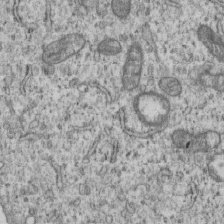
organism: Human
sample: MDA-MB-231 cells